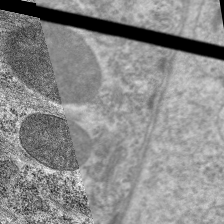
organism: C. elegans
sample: Pharynx